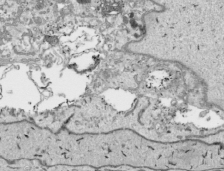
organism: Human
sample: Mitochondria in HCT116 cells